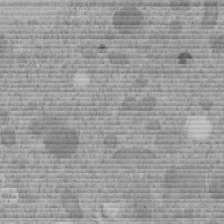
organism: C. elegans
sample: C. elegans embryo early stage